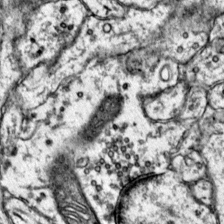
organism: Mouse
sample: Primary visual cortex